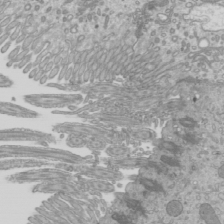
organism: Mouse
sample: Cilia; mouse epididymis